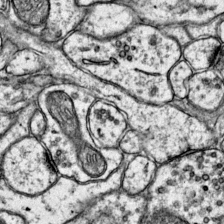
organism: Mouse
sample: Primary visual cortex